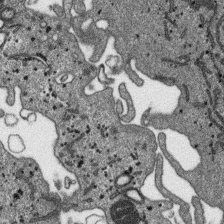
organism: Human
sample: Lung epithelial cells infected with SARS-CoV-2